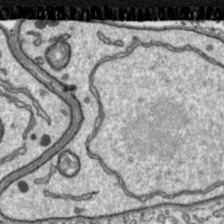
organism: Toxoplasma gondii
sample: Parasites in a vacuole inside a host cell